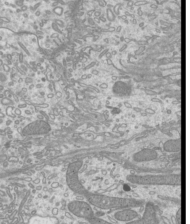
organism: Mouse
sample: Cilia; mouse epididymis